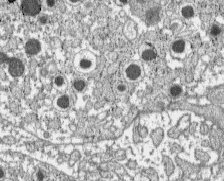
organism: C57BL Mouse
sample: Pancreatic islet